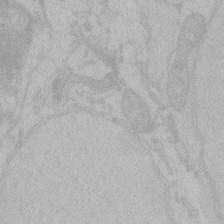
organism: Zebrafish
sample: Macrophage infected with Toxoplasma gondii